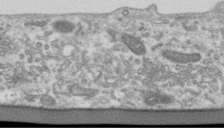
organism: Human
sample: Centriole in RPE cells